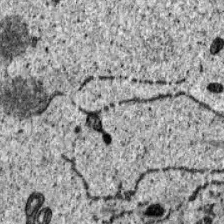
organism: Human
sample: HeLa cells